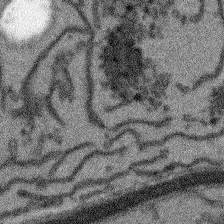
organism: Arabidopsis thaliana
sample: Root tip